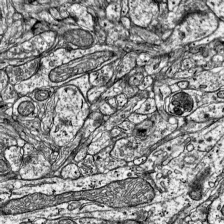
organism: Mouse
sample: Visual Cortex